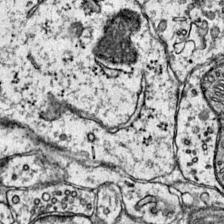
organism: Mouse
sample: Primary visual cortex